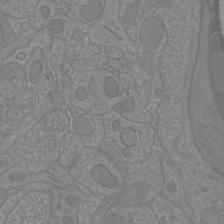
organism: Mouse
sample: Cortical neurons